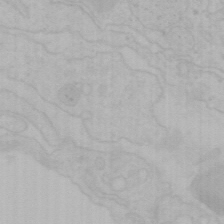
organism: Mouse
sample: Choroid plexus